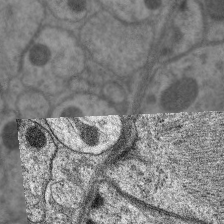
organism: C. elegans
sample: Pharynx